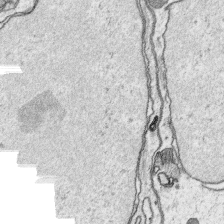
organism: Platynereis dumerilii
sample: Parapodia